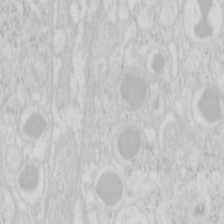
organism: Mouse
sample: Pancreas